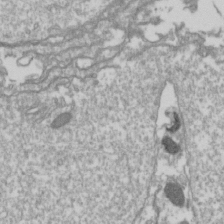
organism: Drosophila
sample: Cell division; meiosis; drosophila spermatocytes